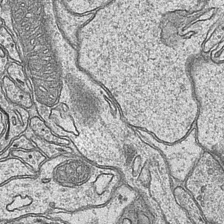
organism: Mouse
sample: CA1 Hippocampus